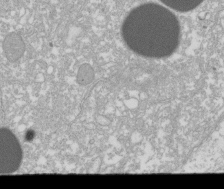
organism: Xenopus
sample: Cilia; centrioles in frog embryo cells